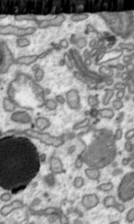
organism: Toxoplasma gondii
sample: Parasites in a vacuole inside a host cell